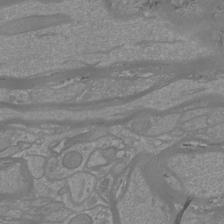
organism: Mouse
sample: Cortical neurons